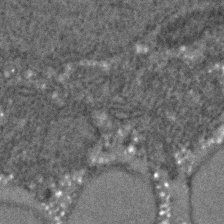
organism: C. elegans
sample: C. elegans embryo